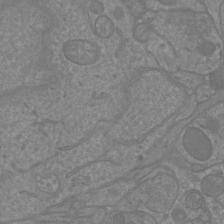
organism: Mouse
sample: Cortical neurons